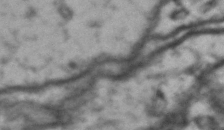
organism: Drosophila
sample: Brain